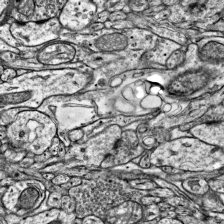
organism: Mouse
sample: Visual Cortex